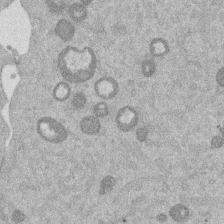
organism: Mouse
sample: Dividing mouse embryo 1 cell stage